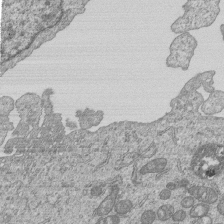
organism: Human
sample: MDA-MB-231 cells